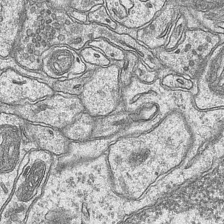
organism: Mouse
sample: CA1 Hippocampus